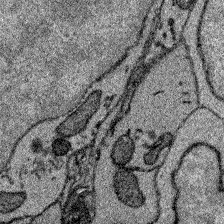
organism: Zebrafish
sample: Larval olfactory bulb